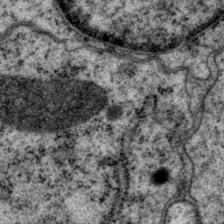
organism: P. pacificus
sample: Pharynx